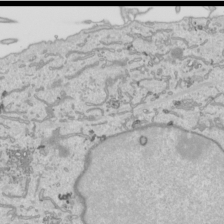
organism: Human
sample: Mitochondria in HCT116 cells